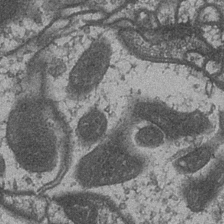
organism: Drosophila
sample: Optic medulla